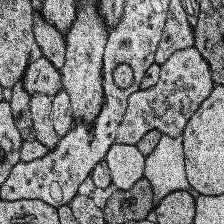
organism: Human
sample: Temporal Lobe